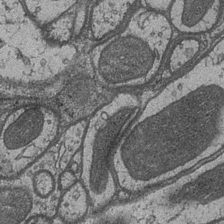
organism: Drosophila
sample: Optic medulla